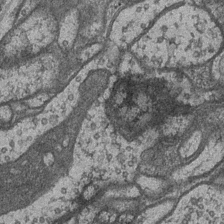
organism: Drosophila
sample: Optic medulla